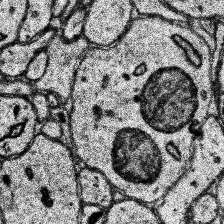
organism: Human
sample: Temporal Lobe